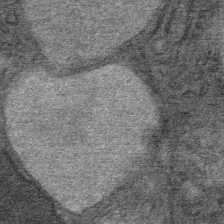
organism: Mouse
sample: Mouse Salivary gland